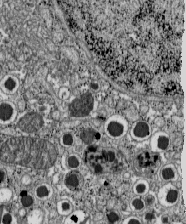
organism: C57BL Mouse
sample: Pancreatic islet